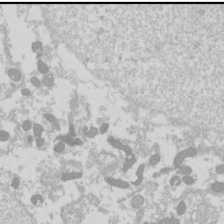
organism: Drosophila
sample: Cell division; meiosis; drosophila spermatocytes